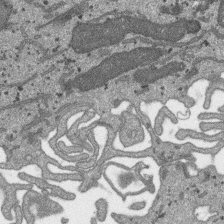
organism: Human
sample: Lung epithelial cells infected with SARS-CoV-2